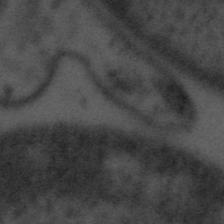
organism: Tuwongella immobilis